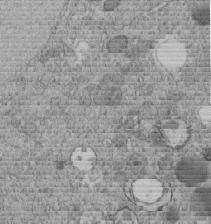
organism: C. elegans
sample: C. elegans embryo early stage